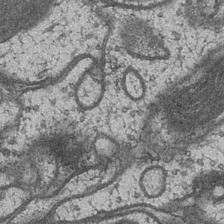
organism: Drosophila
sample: Optic medulla